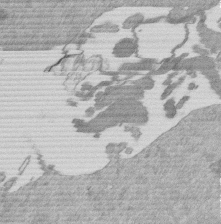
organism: Mouse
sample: Dividing mouse embryo 1 cell stage